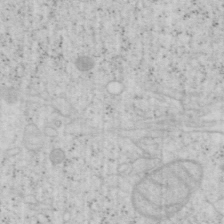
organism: Human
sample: HeLa cells